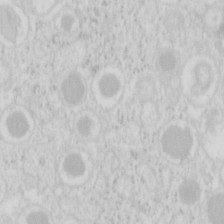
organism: Mouse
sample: Pancreas